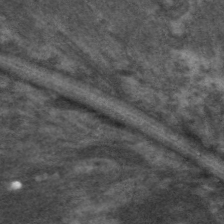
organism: C. elegans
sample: Pharynx